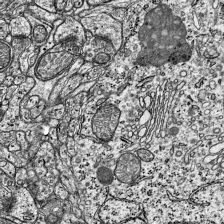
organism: Mouse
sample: Visual Cortex